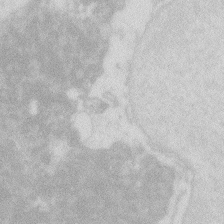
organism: Zebrafish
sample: Macrophage